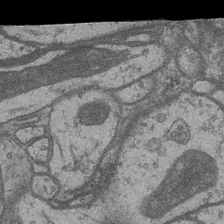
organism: Drosophila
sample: Optic medulla